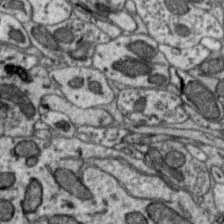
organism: Zebra finch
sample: Brain